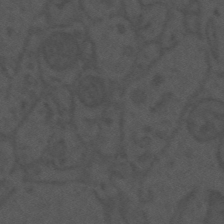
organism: Mouse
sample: Suprachiasmatic nucleus